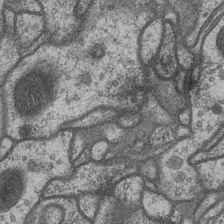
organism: Drosophila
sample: Optic medulla